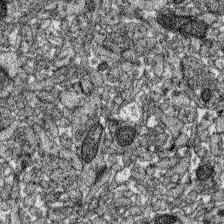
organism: Zebrafish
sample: Larval olfactory bulb